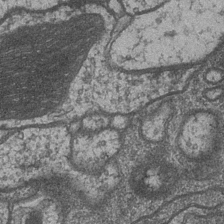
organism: Drosophila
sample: Optic medulla